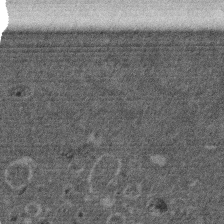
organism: Mouse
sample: Dividing mouse embryo 1 cell stage